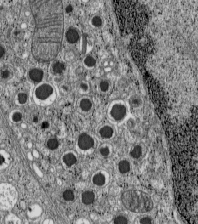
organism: C57BL Mouse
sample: Pancreatic islet